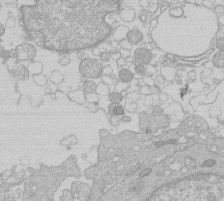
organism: Human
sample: Macrophage cells